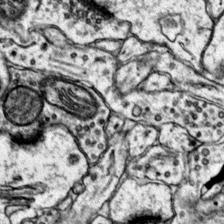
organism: Mouse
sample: Primary visual cortex